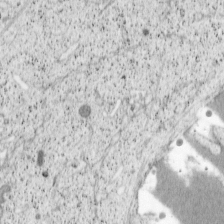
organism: African green monkey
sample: COS-7 cells